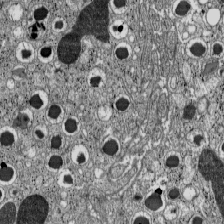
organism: C57BL Mouse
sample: Pancreatic islet